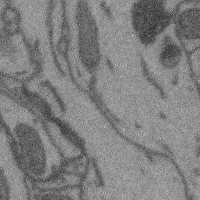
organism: Mouse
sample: Cerebral cortex